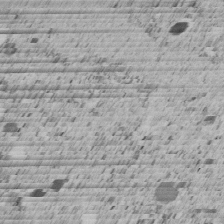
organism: C. elegans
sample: C. elegans embryo early stage